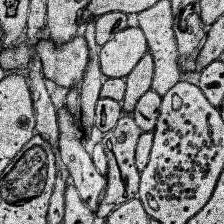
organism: Human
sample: Temporal Lobe